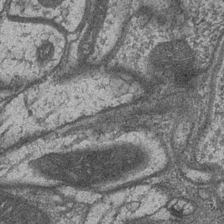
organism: Drosophila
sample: Optic medulla